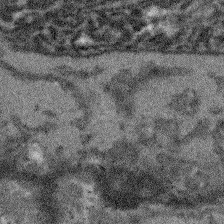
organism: Arabidopsis thaliana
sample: Root tip